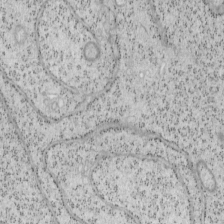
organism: Mouse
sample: OT-I killer T cells with ID8 ovarian cancer cells